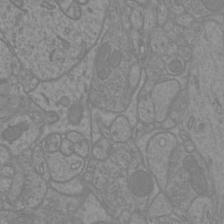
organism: Mouse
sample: Cortical neurons